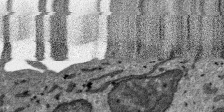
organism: Human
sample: Lung epithelial cells, uninfected (mock) control